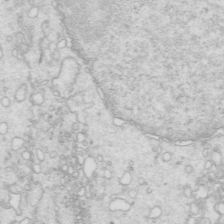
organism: Mouse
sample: Multiciliated cells